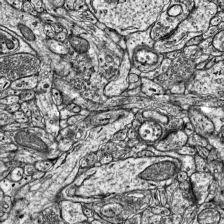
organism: Mouse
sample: Visual Cortex